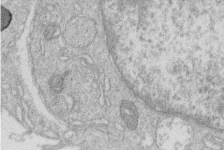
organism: Human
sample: Macrophage cells